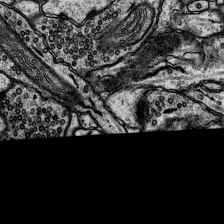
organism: Rat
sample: Hippocampus